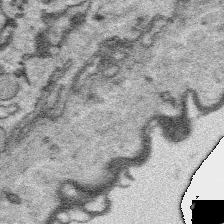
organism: Platynereis dumerilii